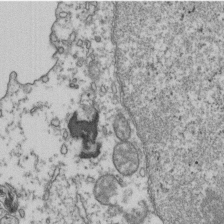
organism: Human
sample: Activated Jurkat CD4+ T cells